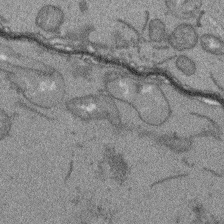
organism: Arabidopsis thaliana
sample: Root tip